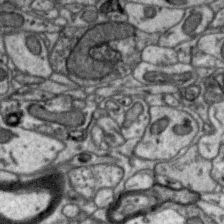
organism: Zebra finch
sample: Brain